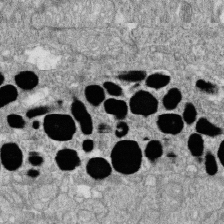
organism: Zebrafish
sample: Cilia; retinal pigment epithelium